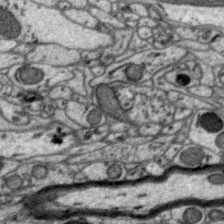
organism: Zebra finch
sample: Brain